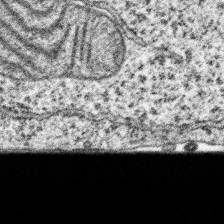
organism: Human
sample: HeLa cells